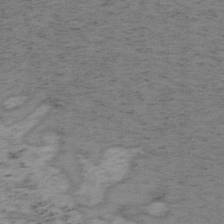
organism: Mouse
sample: OT-I killer T cells with ID8 ovarian cancer cells